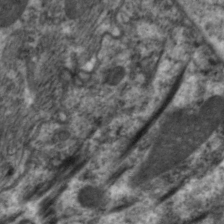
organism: C. elegans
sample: Pharynx